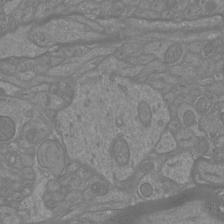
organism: Mouse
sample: Cortical neurons